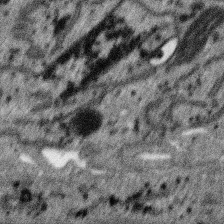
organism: Human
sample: Lung epithelial cells infected with SARS-CoV-2